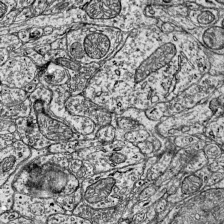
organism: Mouse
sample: Visual Cortex